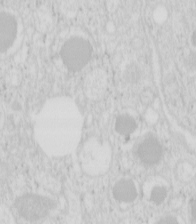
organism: Mouse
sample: Pancreas